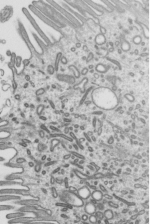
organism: Mouse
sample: Mouse epididymis efferent ductule cilia